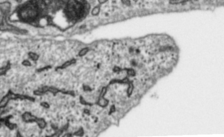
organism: Toxoplasma gondii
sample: Parasites in a vacuole inside a host cell